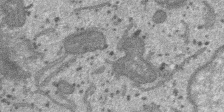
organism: Human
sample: Lung epithelial cells infected with SARS-CoV-2